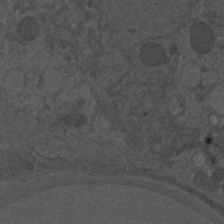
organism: C. elegans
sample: C. elegans embryo